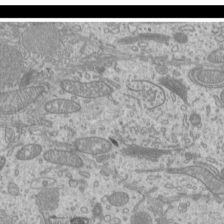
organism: Mouse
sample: Cilia; mouse epididymis